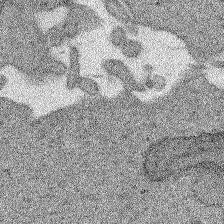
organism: Human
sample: HeLa cells